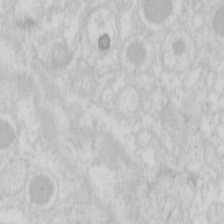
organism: Mouse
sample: Pancreas